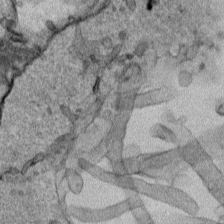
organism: Human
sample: Mitochondria in HCT116 cells